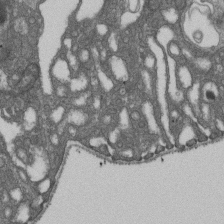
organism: Drosophila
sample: Nephrocyte